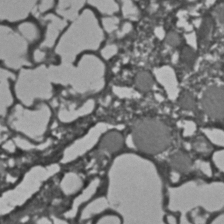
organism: C. elegans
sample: C. elegans embryo